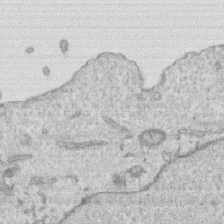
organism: Human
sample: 1205lu cells